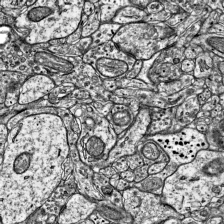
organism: Mouse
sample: Visual Cortex